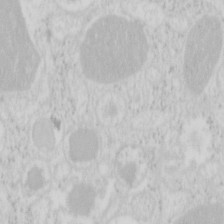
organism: Mouse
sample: Pancreas